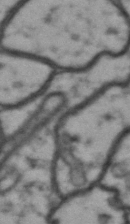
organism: Drosophila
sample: Brain